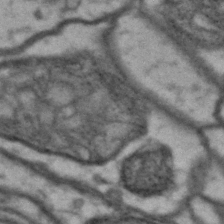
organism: Drosophila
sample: Brain